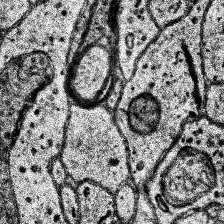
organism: Human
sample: Temporal Lobe